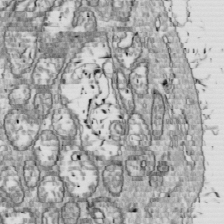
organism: Drosophila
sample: Cell division; meiosis; drosophila spermatocytes